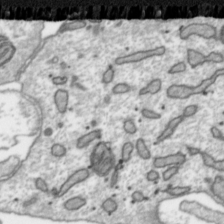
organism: Toxoplasma gondii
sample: Parasites in a vacuole inside a host cell